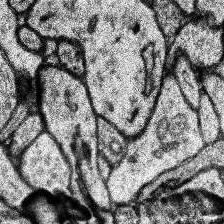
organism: Human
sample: Temporal Lobe